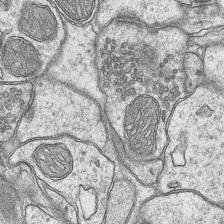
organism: Mouse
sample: CA1 Hippocampus